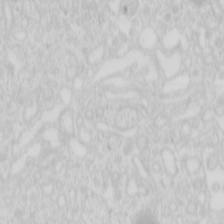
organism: Mouse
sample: Pancreas